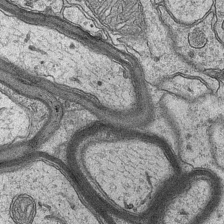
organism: Mouse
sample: CA1 Hippocampus